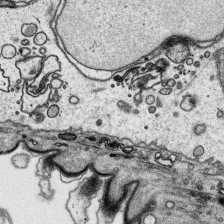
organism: Platynereis dumerilii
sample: Parapodia